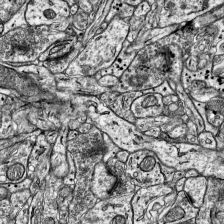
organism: Mouse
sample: Visual Cortex